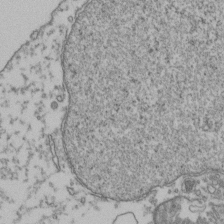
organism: Human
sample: Activated Jurkat CD4+ T cells